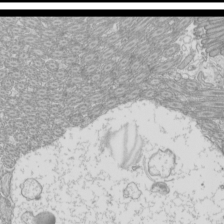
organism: Mouse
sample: Cilia; mouse epididymis